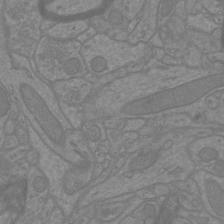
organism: Mouse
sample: Cortical neurons